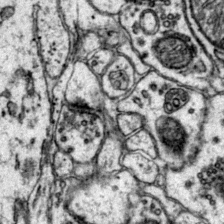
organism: Mouse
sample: Primary visual cortex